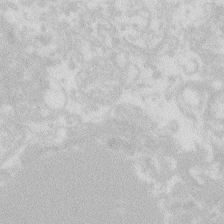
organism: Zebrafish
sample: Macrophage